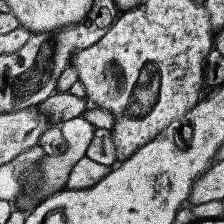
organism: Human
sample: Temporal Lobe